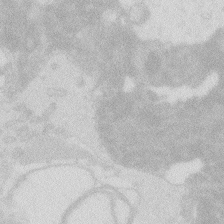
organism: Zebrafish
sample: Macrophage